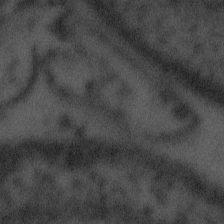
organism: Tuwongella immobilis